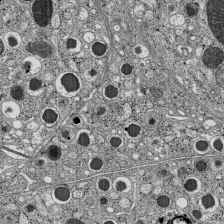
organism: C57BL Mouse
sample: Pancreatic islet